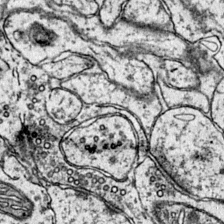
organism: Mouse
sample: Primary visual cortex